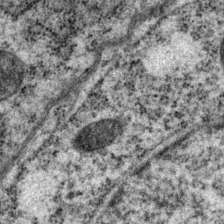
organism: P. pacificus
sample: Pharynx